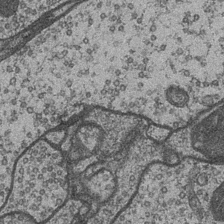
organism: Drosophila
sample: Optic medulla